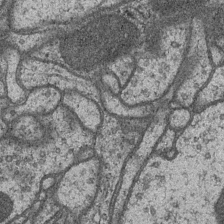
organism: Drosophila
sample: Optic medulla